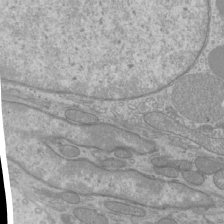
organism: Mouse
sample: Cilia; mouse epididymis